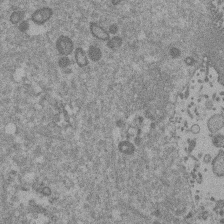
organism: Mouse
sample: Dividing mouse embryo 1 cell stage